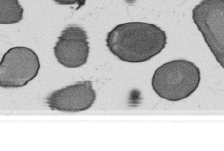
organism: B. subtilis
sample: Bacterial spore